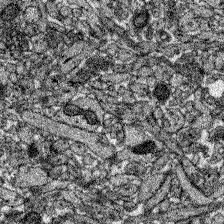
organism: Zebrafish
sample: Larval olfactory bulb